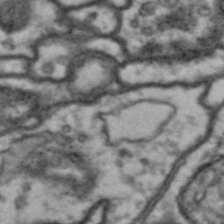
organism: Drosophila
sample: Brain